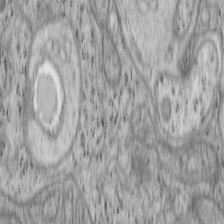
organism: Human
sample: HeLa cells